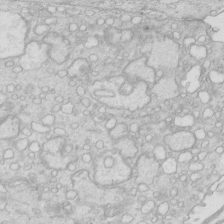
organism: Mouse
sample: Multiciliated cells